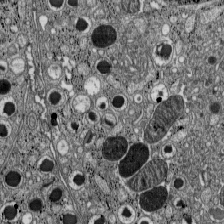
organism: C57BL Mouse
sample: Pancreatic islet